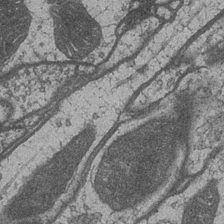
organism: Drosophila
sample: Optic medulla